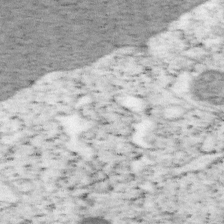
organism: Mouse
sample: OT-I killer T cells with ID8 ovarian cancer cells